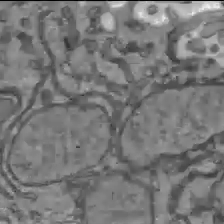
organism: C57BL Mouse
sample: Liver